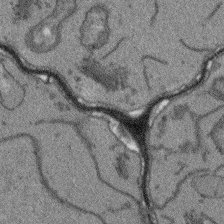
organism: Arabidopsis thaliana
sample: Root tip